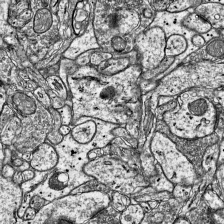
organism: Mouse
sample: Visual Cortex